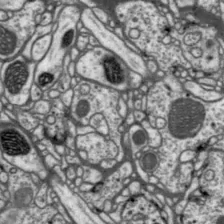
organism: Drosophila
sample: Protocerebral bridge